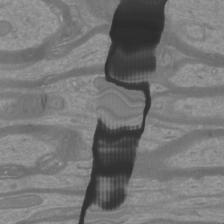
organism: Mouse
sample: Cortical neurons